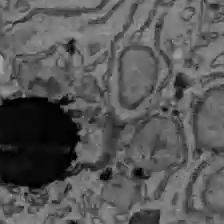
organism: C57BL Mouse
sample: Liver